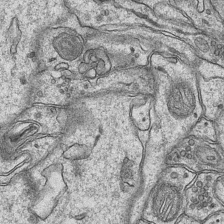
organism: Mouse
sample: CA1 Hippocampus